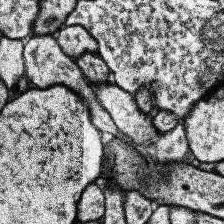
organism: Human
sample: Temporal Lobe